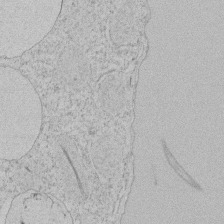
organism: Tetrahymena